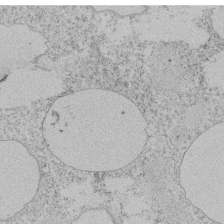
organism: Tetrahymena